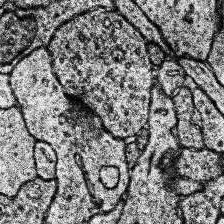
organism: Human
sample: Temporal Lobe